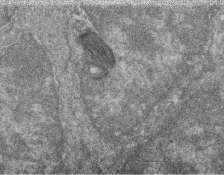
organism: Zebrafish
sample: Cilia; retinal pigment epithelium